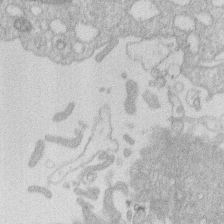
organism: Human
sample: Macrophage cells